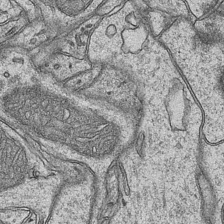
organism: Mouse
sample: CA1 Hippocampus